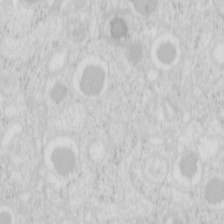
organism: Mouse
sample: Pancreas